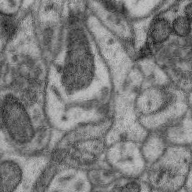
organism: Zebra finch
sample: Brain